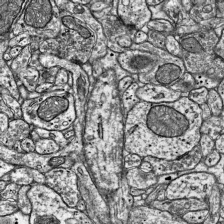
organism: Mouse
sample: Visual Cortex